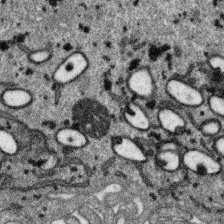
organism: Human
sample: Lung epithelial cells infected with SARS-CoV-2